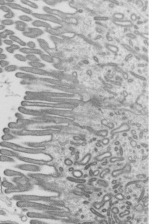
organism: Mouse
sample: Mouse epididymis efferent ductule cilia